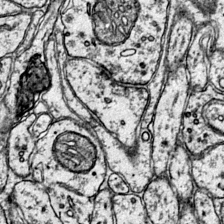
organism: Mouse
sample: Primary visual cortex